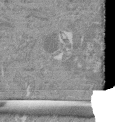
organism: Mouse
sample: Glomerulus